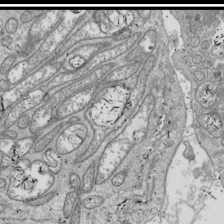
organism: Drosophila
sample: Cell division; meiosis; drosophila spermatocytes